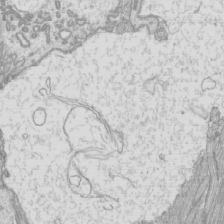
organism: Mouse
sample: Cilia; mouse epididymis